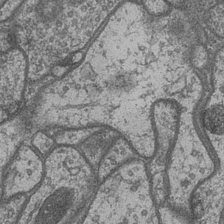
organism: Drosophila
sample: Optic medulla